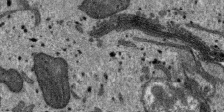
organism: Human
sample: Lung epithelial cells, uninfected (mock) control